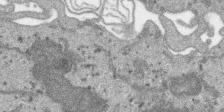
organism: Human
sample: Lung epithelial cells infected with SARS-CoV-2